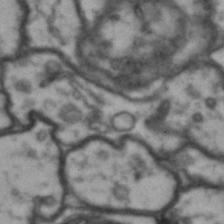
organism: Drosophila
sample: Brain